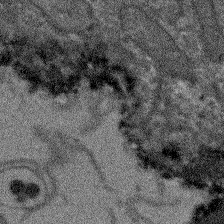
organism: Arabidopsis thaliana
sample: Root tip